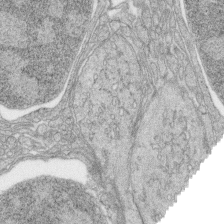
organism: Zebrafish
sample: synaptic ribbons in rod cells and cone cells